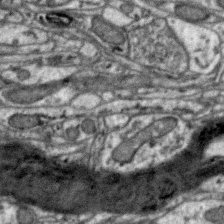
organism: Zebra finch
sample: Brain